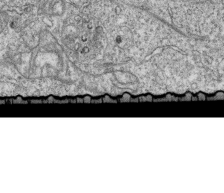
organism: Human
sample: HeLa cell HIV synapse